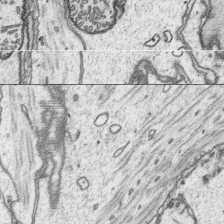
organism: Platynereis dumerilii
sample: Parapodia